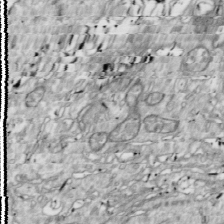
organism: Drosophila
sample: Cell division; meiosis; drosophila spermatocytes